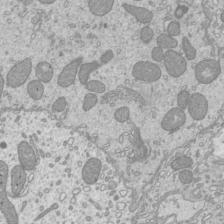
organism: Mouse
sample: Cilia; mouse epididymis